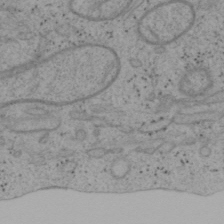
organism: Human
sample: HeLa cells